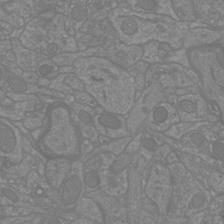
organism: Mouse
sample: Cortical neurons